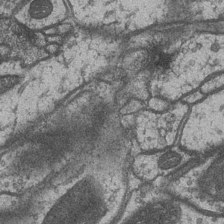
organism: Drosophila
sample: Optic medulla